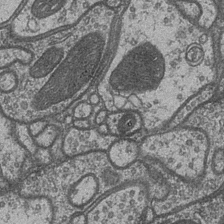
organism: Drosophila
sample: Optic medulla